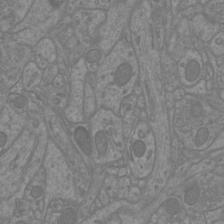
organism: Mouse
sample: Cortical neurons